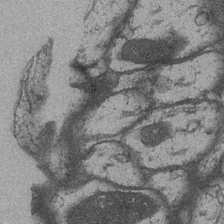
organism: Drosophila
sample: Optic medulla